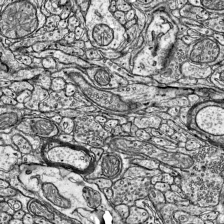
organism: Mouse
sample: Visual Cortex